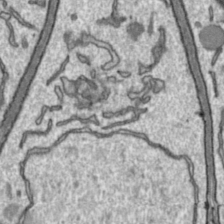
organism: Toxoplasma gondii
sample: Parasites in a vacuole inside a host cell